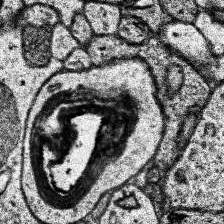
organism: Human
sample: Temporal Lobe